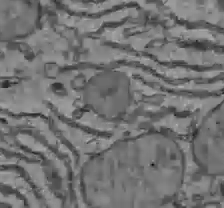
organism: C57BL Mouse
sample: Liver